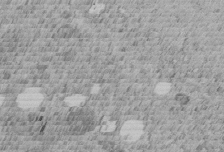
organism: C. elegans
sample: C. elegans embryo early stage